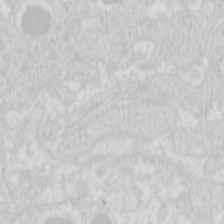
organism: Mouse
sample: Pancreas